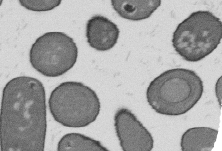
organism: B. subtilis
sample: Bacterial spore